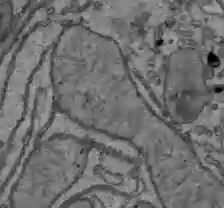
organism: C57BL Mouse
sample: Liver